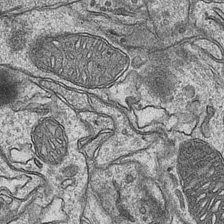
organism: Mouse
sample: CA1 Hippocampus